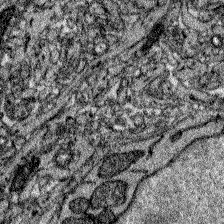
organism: Zebrafish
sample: Larval olfactory bulb